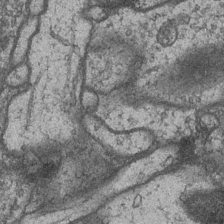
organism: Drosophila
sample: Optic medulla